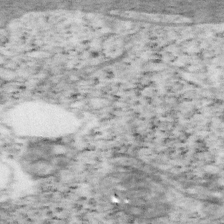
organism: Mouse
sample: OT-I killer T cells with ID8 ovarian cancer cells